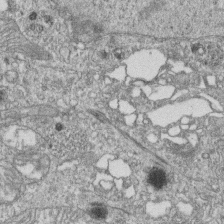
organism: Human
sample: HeLa cell HIV synapse